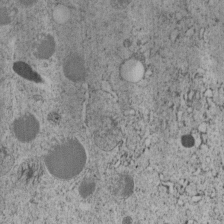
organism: C. elegans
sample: C. elegans embryo early stage